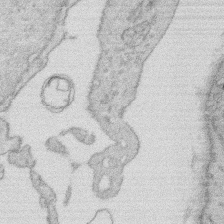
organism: Rat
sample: Salivary granule